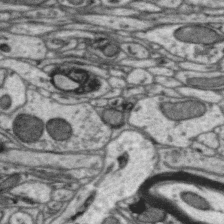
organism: Zebra finch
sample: Brain